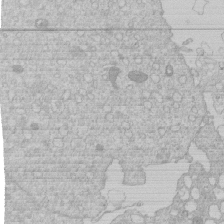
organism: Human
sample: Macrophage cells